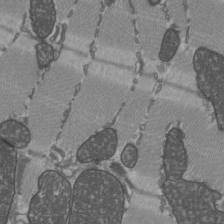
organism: C57BL Mouse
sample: Heart